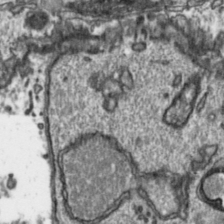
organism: Toxoplasma gondii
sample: Parasites in a vacuole inside a host cell